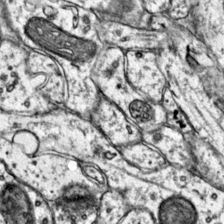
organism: Mouse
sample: Primary visual cortex